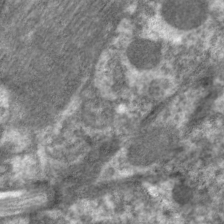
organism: C. elegans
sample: Pharynx